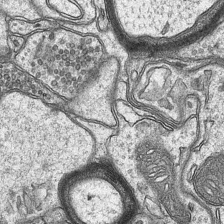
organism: Mouse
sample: CA1 Hippocampus